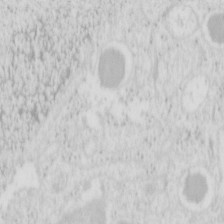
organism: Mouse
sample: Pancreas